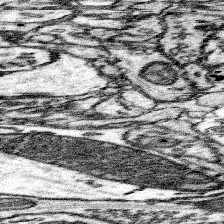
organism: Mouse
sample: Somatosensory cortex neuropil